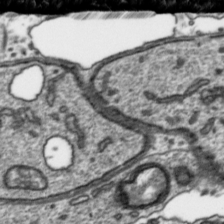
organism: Toxoplasma gondii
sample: Parasites in a vacuole inside a host cell